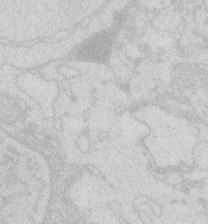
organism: Zebrafish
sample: Macrophage